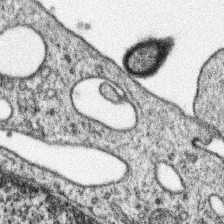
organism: Human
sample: HeLa cells